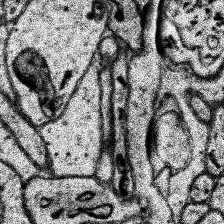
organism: Human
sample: Temporal Lobe